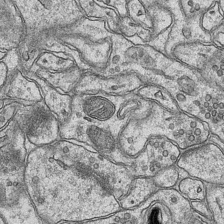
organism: Mouse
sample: CA1 Hippocampus